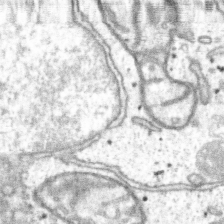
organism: Human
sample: HeLa cells